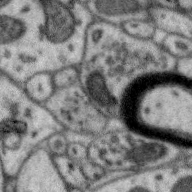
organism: Zebra finch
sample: Brain